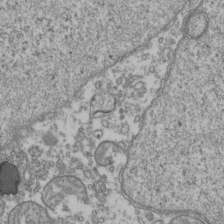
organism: Human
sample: Activated Jurkat CD4+ T cells